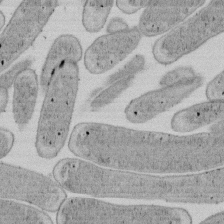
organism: E. coli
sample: Bacterial nucleoid